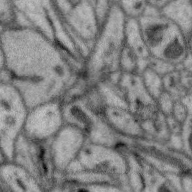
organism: Zebra finch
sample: Brain